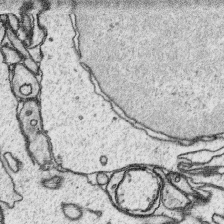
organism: Platynereis dumerilii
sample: Parapodia